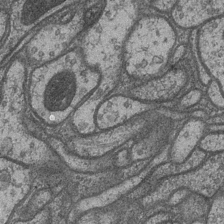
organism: Drosophila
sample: Optic medulla